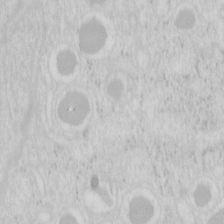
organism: Mouse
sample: Pancreas